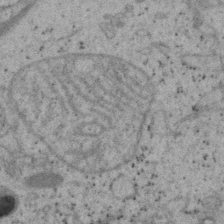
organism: Human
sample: HeLa cells